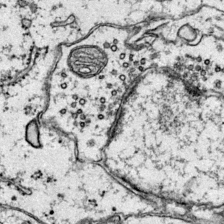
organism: Mouse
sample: Primary visual cortex